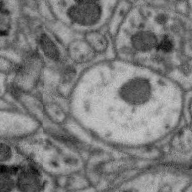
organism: Zebra finch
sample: Brain